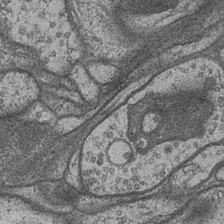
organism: Drosophila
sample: Optic medulla